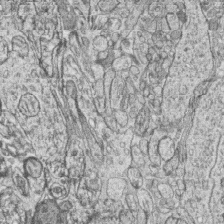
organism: Zebrafish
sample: synaptic ribbons in rod cells and cone cells